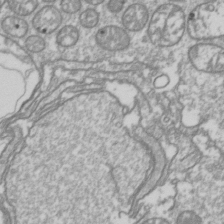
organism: Drosophila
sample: Cell division; meiosis; drosophila spermatocytes